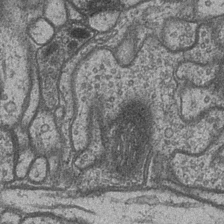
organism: Drosophila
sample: Optic medulla